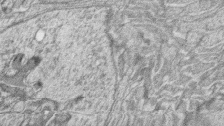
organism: Zebrafish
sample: synaptic ribbons in rod cells and cone cells